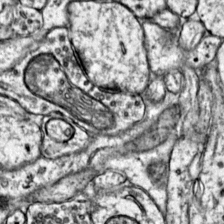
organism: Mouse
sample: Primary visual cortex